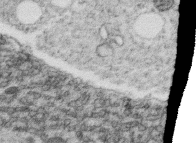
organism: C. elegans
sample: C. elegans oocyte; sperm cells